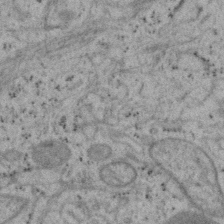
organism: Human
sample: HeLa cells